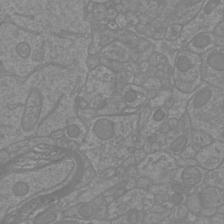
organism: Mouse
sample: Cortical neurons